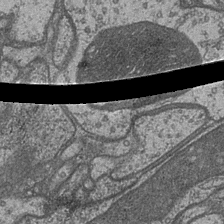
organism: Drosophila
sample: Optic medulla